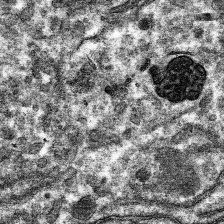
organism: Mouse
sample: Mouse hepatocytes